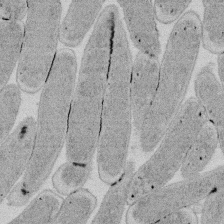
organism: E. coli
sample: Bacterial nucleoid